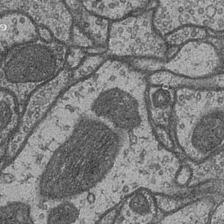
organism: Drosophila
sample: Optic medulla